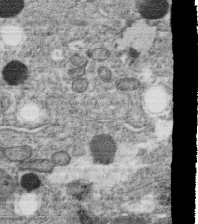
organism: C. elegans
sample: C. elegans oocyte; sperm cells